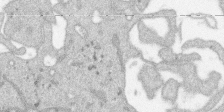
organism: Human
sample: Lung epithelial cells infected with SARS-CoV-2